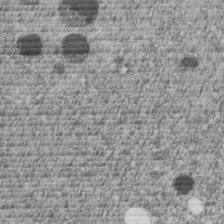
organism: C. elegans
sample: C. elegans embryo early stage